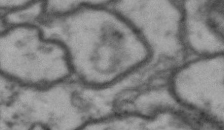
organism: Drosophila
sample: Brain